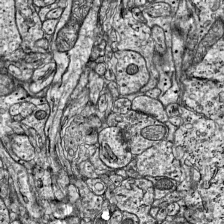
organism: Mouse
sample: Visual Cortex